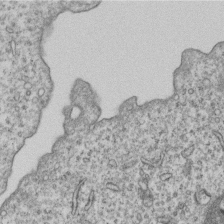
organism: Human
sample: MDA-MB-231 cells